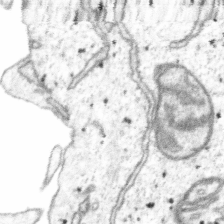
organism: Human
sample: HeLa cells